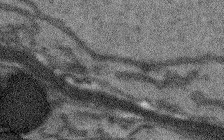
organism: Arabidopsis thaliana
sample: Root tip